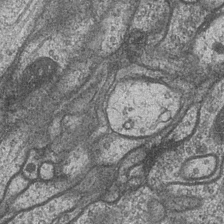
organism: Drosophila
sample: Optic medulla